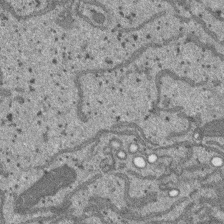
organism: Human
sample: Lung epithelial cells infected with SARS-CoV-2